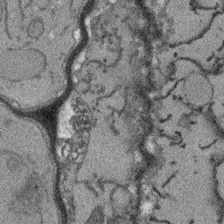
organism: Arabidopsis thaliana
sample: Root tip